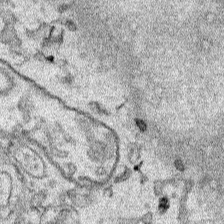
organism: Human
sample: Mitochondria in HCT116 cells